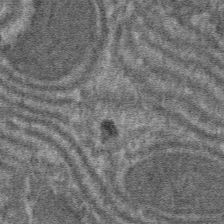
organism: Mouse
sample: Mouse hepatocytes